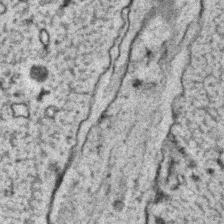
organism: C. elegans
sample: C. elegans embryo